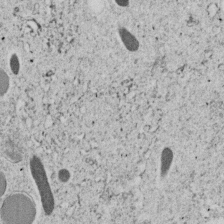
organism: C. elegans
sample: C. elegans embryo early stage